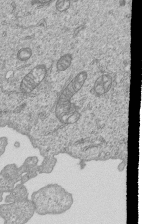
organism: Human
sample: MDA-MB-231 cells